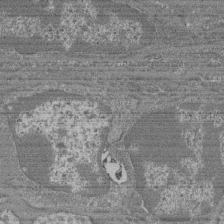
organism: Mouse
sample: Glomerulus